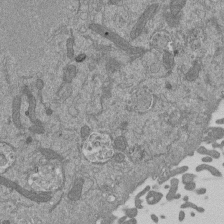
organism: Mouse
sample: ED-1 cell nuclei; centrioles